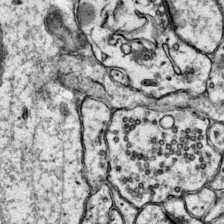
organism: Mouse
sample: Primary visual cortex